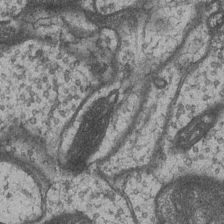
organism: Drosophila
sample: Optic medulla